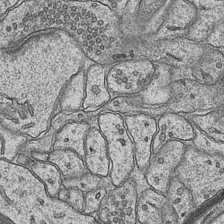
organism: Mouse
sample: CA1 Hippocampus